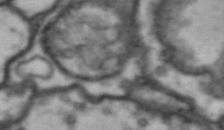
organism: Drosophila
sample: Brain